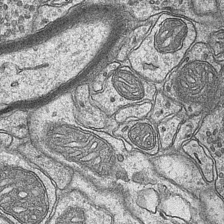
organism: Mouse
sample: CA1 Hippocampus